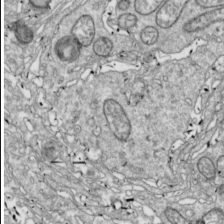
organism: Drosophila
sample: Cell division; meiosis; drosophila spermatocytes